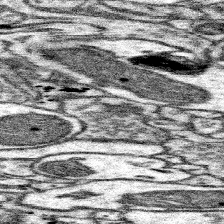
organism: Mouse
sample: Somatosensory cortex neuropil